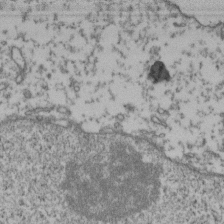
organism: Human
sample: Activated Jurkat CD4+ T cells